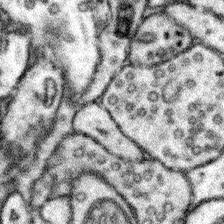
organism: Mouse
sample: Somatosensory cortex neuropil